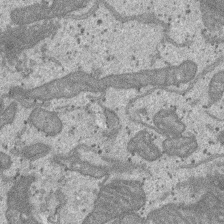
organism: Human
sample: Lung epithelial cells infected with SARS-CoV-2